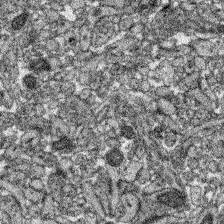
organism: Zebrafish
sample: Larval olfactory bulb